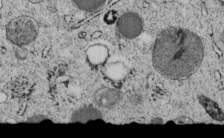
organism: C. elegans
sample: C. elegans embryo early stage